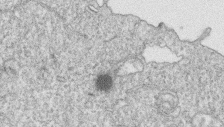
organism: Human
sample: HeLa cell HIV synapse